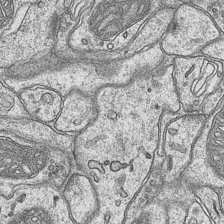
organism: Mouse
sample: CA1 Hippocampus